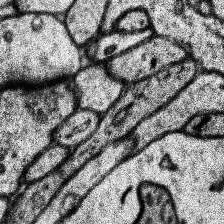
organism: Human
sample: Temporal Lobe